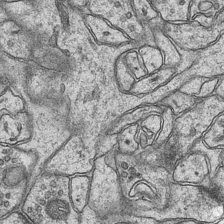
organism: Mouse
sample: CA1 Hippocampus